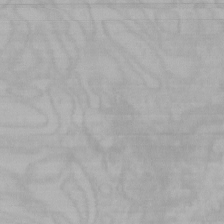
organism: Mouse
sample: Choroid plexus